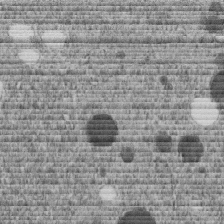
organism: C. elegans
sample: C. elegans embryo early stage